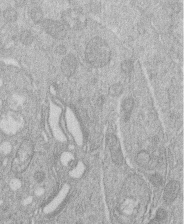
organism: Human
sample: Macrophage cells